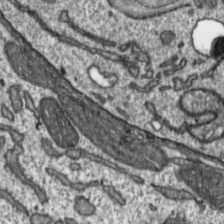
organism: Toxoplasma gondii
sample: Parasites in a vacuole inside a host cell